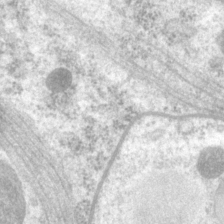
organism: P. pacificus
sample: Pharynx